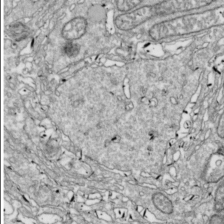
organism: Drosophila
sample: Cell division; meiosis; drosophila spermatocytes